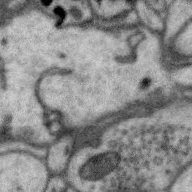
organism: Zebra finch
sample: Brain